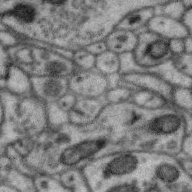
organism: Zebra finch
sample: Brain